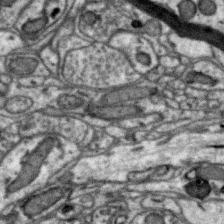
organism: Zebra finch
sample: Brain